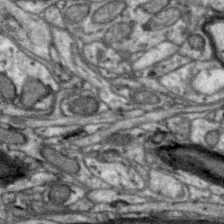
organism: Zebra finch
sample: Brain